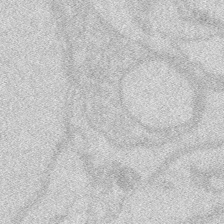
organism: Zebrafish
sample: Macrophage